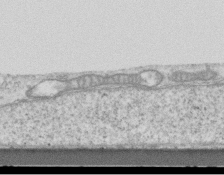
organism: Mouse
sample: Centriole in ependymal cells